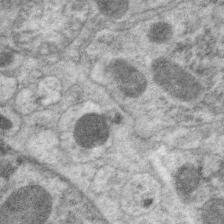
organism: C. elegans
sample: Pharynx